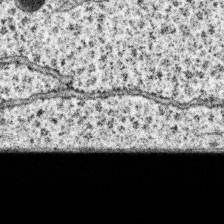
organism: Human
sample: HeLa cells